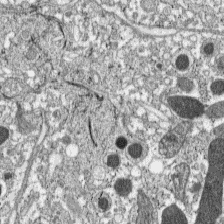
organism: C57BL Mouse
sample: Pancreatic islet